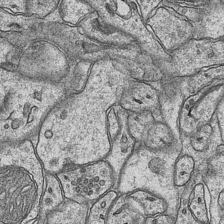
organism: Mouse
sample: CA1 Hippocampus